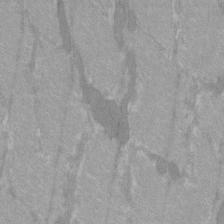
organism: C57BL Mouse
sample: Tibialis anterior muscle cell